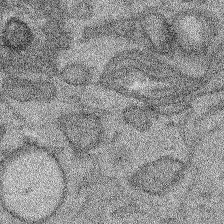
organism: Human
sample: HeLa cells